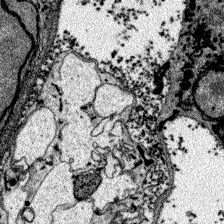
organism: Zebrafish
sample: Larval olfactory bulb